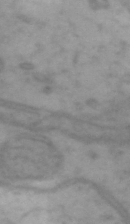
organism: Drosophila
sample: Brain